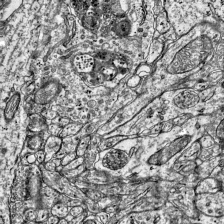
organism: Mouse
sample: Visual Cortex